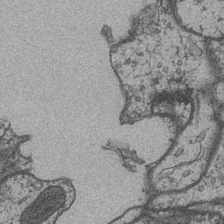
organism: Drosophila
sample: Optic medulla